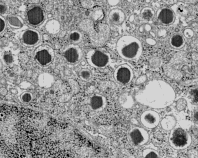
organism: C57BL Mouse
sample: Pancreatic islet